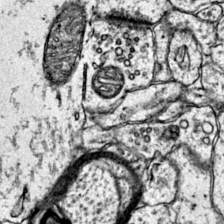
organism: Mouse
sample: Primary visual cortex